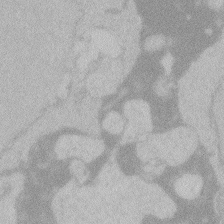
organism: Zebrafish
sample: Macrophage infected with Toxoplasma gondii